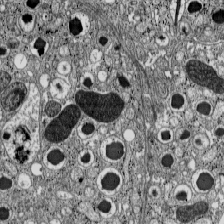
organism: C57BL Mouse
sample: Pancreatic islet